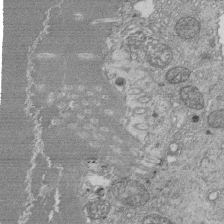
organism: Tetrahymena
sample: Cilia in tetrahymena